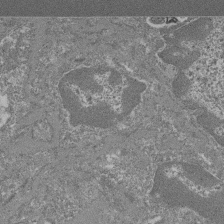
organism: Mouse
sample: Glomerulus